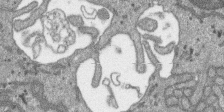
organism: Human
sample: Lung epithelial cells infected with SARS-CoV-2